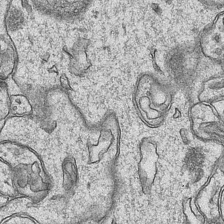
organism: Mouse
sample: CA1 Hippocampus